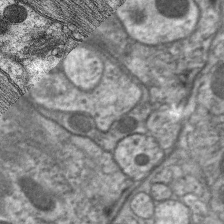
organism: C. elegans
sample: Pharynx